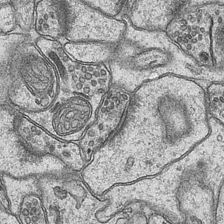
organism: Mouse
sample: CA1 Hippocampus